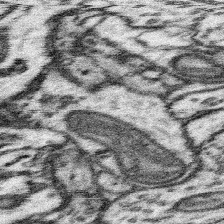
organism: Mouse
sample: Somatosensory cortex neuropil